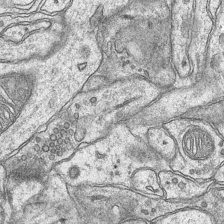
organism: Mouse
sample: CA1 Hippocampus